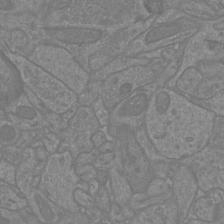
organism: Mouse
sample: Cortical neurons